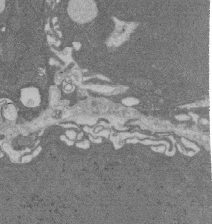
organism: Rat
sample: Salivary granule